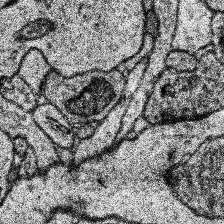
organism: Human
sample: Temporal Lobe